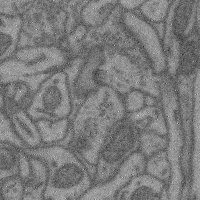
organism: Mouse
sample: Cerebral cortex